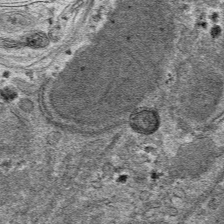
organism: Mouse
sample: Mouse hepatocytes